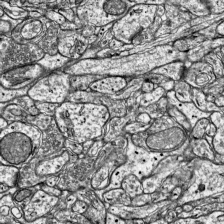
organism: Mouse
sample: Visual Cortex